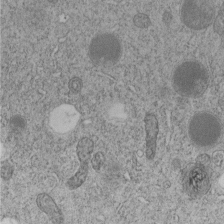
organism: C. elegans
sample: C. elegans embryo early stage